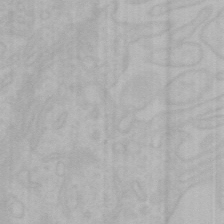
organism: Mouse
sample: Choroid plexus